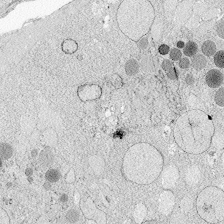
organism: Zebrafish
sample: Whole-Brain